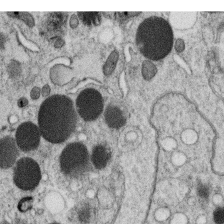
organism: C. elegans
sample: C. elegans oocyte; sperm cells